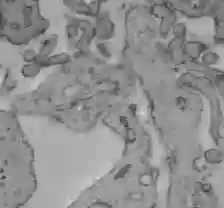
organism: C57BL Mouse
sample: Liver